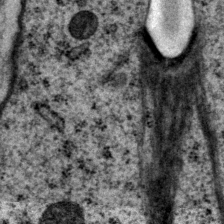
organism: P. pacificus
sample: Pharynx